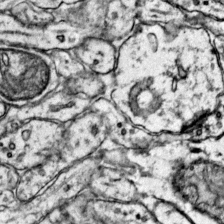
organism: Mouse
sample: Primary visual cortex